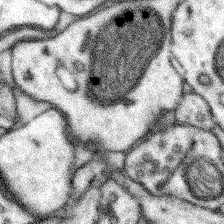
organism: Mouse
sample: Somatosensory cortex neuropil